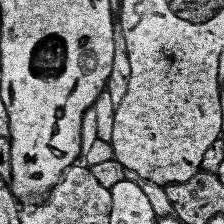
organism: Human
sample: Temporal Lobe